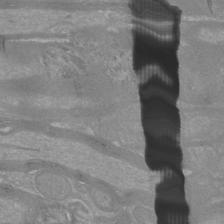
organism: Mouse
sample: Cortical neurons